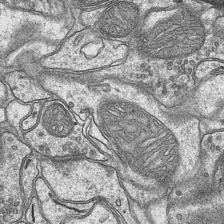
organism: Mouse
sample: CA1 Hippocampus